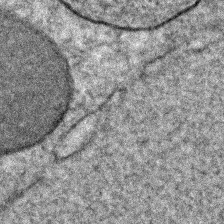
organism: C. elegans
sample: C. elegans embryo